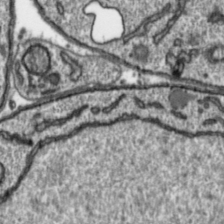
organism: Toxoplasma gondii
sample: Parasites in a vacuole inside a host cell